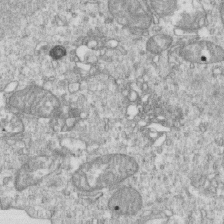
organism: Mouse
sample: Activated OT-1 CD8+ T cells